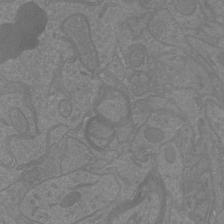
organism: Mouse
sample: Cortical neurons